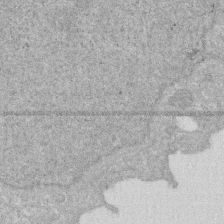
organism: Human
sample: HIV infected U937 cells